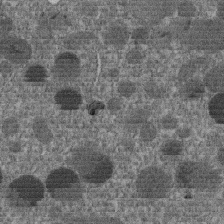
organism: C. elegans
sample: C. elegans embryo early stage